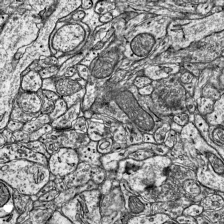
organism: Mouse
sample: Visual Cortex